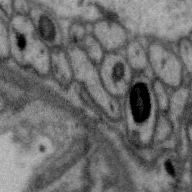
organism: Zebra finch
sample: Brain